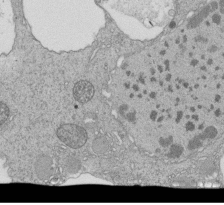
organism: Tetrahymena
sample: Cilia in tetrahymena